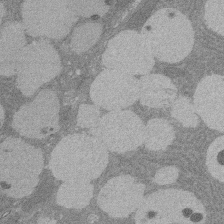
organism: Rat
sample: Salivary granule